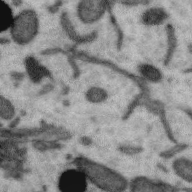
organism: Zebra finch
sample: Brain